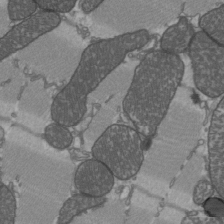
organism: C57BL Mouse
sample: Heart